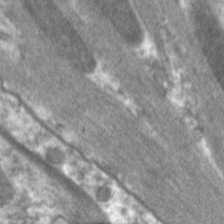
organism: C. elegans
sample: Pharynx